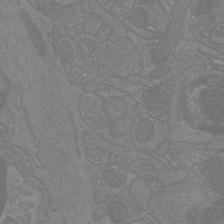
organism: Mouse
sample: Cortical neurons